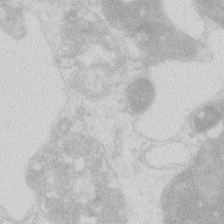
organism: Zebrafish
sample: Macrophage